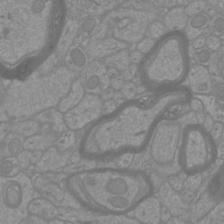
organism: Mouse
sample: Cortical neurons